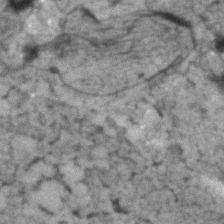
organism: Human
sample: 1205lu cells